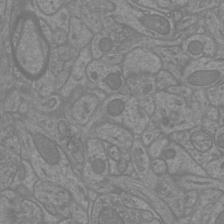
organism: Mouse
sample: Cortical neurons